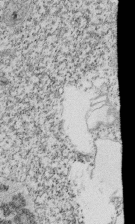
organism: Tetrahymena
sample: Cilia in tetrahymena